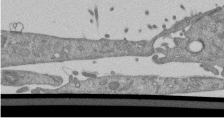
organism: Mouse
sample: ED-1 cell nuclei; centrioles